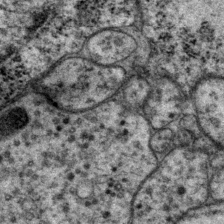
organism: P. pacificus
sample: Pharynx